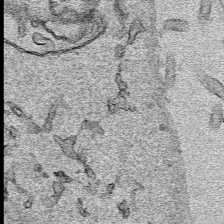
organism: Human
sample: Mitochondria in HCT116 cells